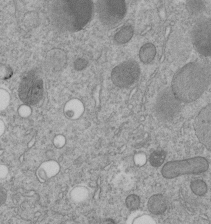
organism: C. elegans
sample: C. elegans embryo early stage